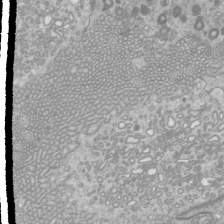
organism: Mouse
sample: Cilia; mouse epididymis